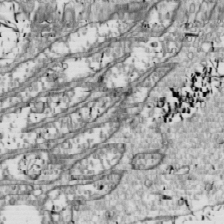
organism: Drosophila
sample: Cell division; meiosis; drosophila spermatocytes